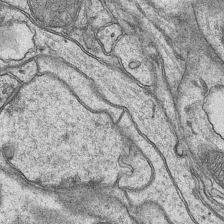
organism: Mouse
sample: CA1 Hippocampus